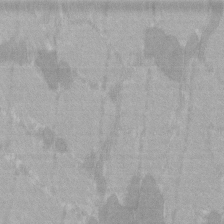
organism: C57BL Mouse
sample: Tibialis anterior muscle cell